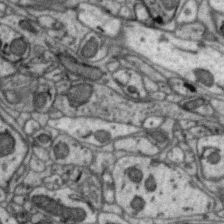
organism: Zebra finch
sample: Brain